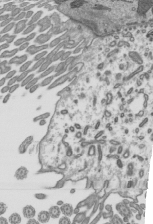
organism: Mouse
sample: Mouse epididymis efferent ductule cilia